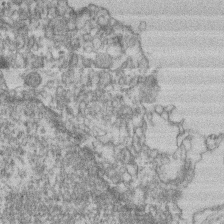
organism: Mouse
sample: T cell stromal cell synapse